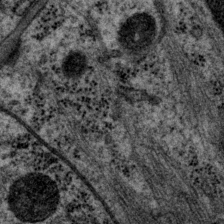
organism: P. pacificus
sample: Pharynx